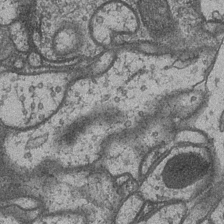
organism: Drosophila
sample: Optic medulla